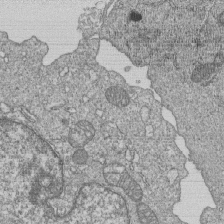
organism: Human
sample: MDA-MB-231 cells